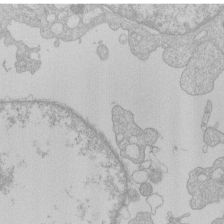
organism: Human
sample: Macrophage cells